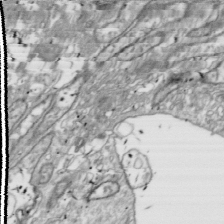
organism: Drosophila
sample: Cell division; meiosis; drosophila spermatocytes